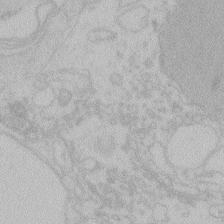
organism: Zebrafish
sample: Macrophage infected with Toxoplasma gondii